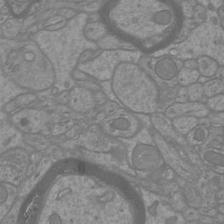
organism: Mouse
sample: Cortical neurons